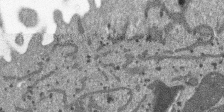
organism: Human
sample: Lung epithelial cells infected with SARS-CoV-2